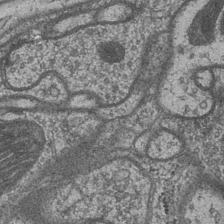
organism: Drosophila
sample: Optic medulla